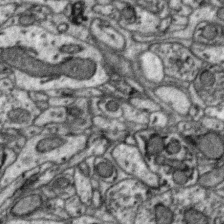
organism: Zebra finch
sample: Brain